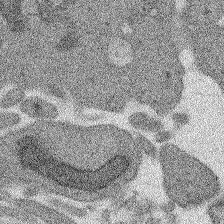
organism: Human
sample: HeLa cells